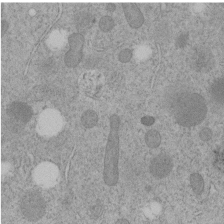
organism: C. elegans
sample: C. elegans embryo early stage